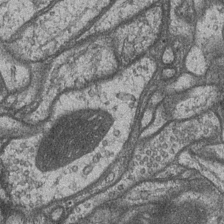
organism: Drosophila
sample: Optic medulla